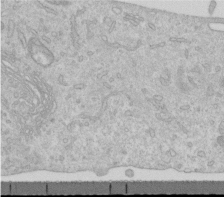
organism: Human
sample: Centriole in RPE cells